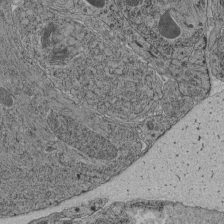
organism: C. elegans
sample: C. elegans pharynx